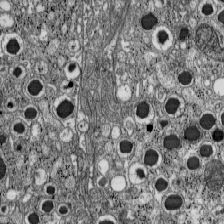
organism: C57BL Mouse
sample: Pancreatic islet